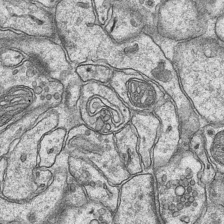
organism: Mouse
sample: CA1 Hippocampus